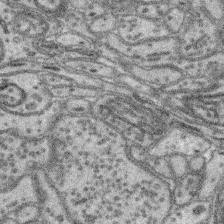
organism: Mouse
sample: Retina